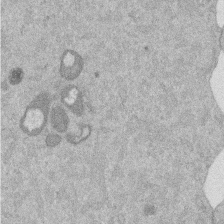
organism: Mouse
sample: Dividing mouse embryo 1 cell stage